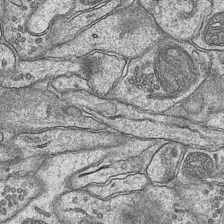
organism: Mouse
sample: CA1 Hippocampus